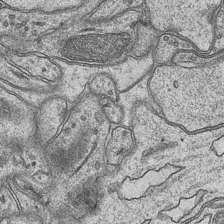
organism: Mouse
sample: CA1 Hippocampus